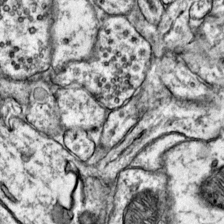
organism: Mouse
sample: Primary visual cortex